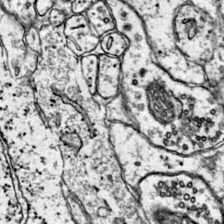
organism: Mouse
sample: Primary visual cortex